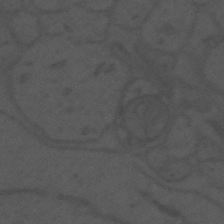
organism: Mouse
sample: Suprachiasmatic nucleus